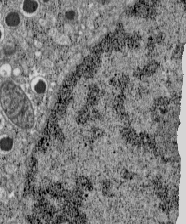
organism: C57BL Mouse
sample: Pancreatic islet